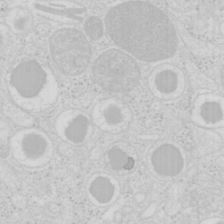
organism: Mouse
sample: Pancreas